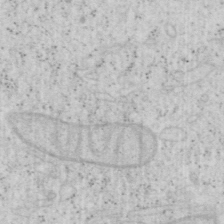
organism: Human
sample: HeLa cells